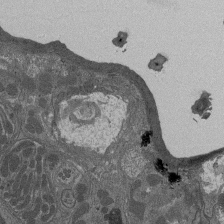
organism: Drosophila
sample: Antenna